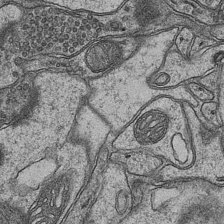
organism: Mouse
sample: CA1 Hippocampus